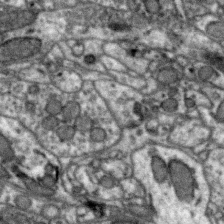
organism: Zebra finch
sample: Brain